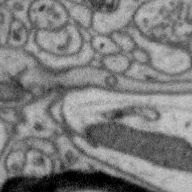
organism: Zebra finch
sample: Brain